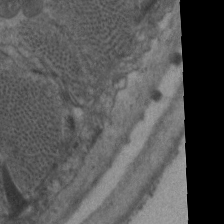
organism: C. elegans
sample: Pharynx